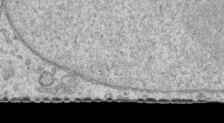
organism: Human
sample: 1205lu cells